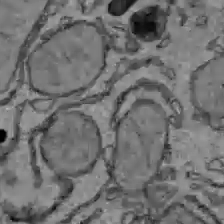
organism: C57BL Mouse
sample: Liver